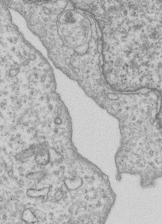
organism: Human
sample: MDA-MB-231 cells